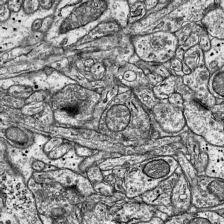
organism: Mouse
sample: Visual Cortex